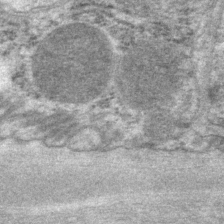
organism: P. pacificus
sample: Pharynx